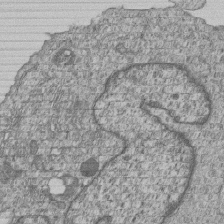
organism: Human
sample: MDA-MB-231 cells